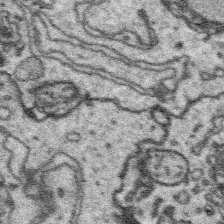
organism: Platynereis dumerilii